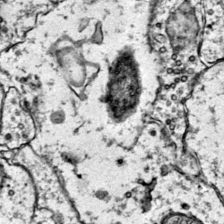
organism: Mouse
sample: Primary visual cortex